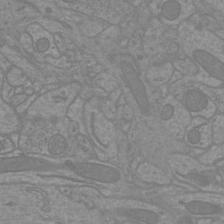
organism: Mouse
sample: Cortical neurons